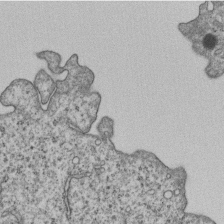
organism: Human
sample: MDA-MB-231 cells